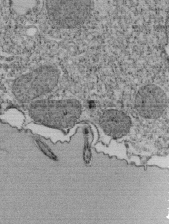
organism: Tetrahymena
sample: Cilia in tetrahymena